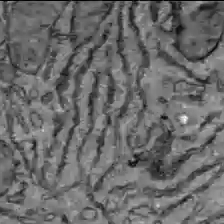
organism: C57BL Mouse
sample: Liver